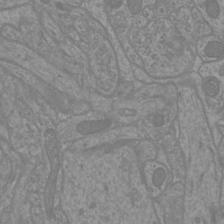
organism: Mouse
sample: Cortical neurons